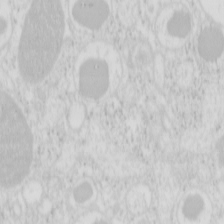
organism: Mouse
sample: Pancreas